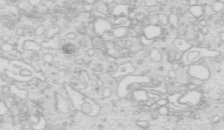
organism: Mouse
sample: Multiciliated cells